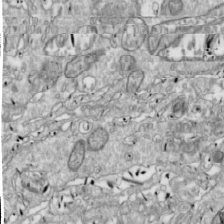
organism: Drosophila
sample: Cell division; meiosis; drosophila spermatocytes